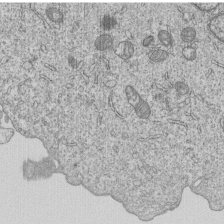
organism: Human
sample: MDA-MB-231 cells